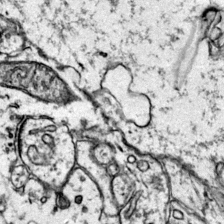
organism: Mouse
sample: Primary visual cortex